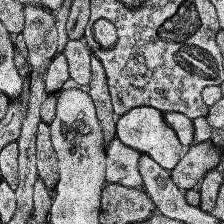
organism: Human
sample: Temporal Lobe